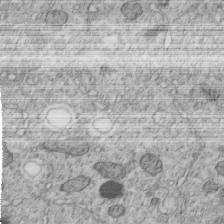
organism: C. elegans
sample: C. elegans embryo early stage